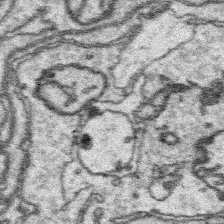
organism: Platynereis dumerilii